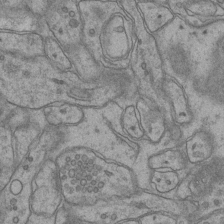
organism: Mouse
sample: CA1 Hippocampus